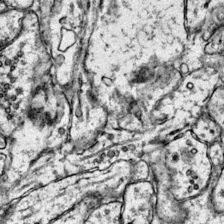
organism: Mouse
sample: Primary visual cortex